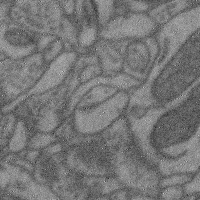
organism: Mouse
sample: Cerebral cortex